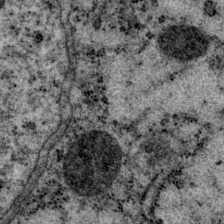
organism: P. pacificus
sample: Pharynx